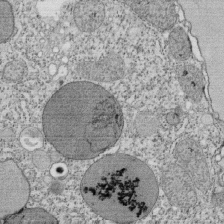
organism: Tetrahymena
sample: Cilia in tetrahymena